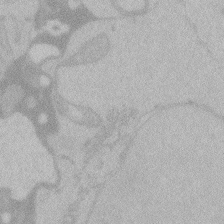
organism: Zebrafish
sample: Macrophage infected with Toxoplasma gondii